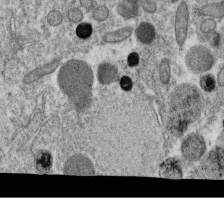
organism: C. elegans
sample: C. elegans oocyte; sperm cells